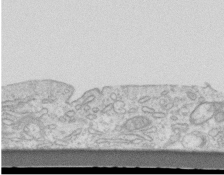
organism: Mouse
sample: Centriole in ependymal cells